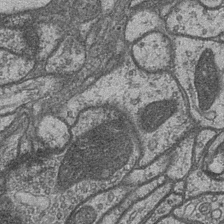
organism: Drosophila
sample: Optic medulla